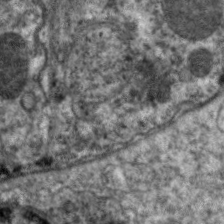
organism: C. elegans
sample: Pharynx